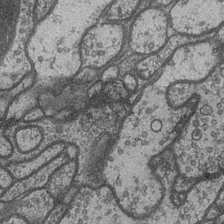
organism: Drosophila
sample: Optic medulla